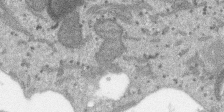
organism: Human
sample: Lung epithelial cells infected with SARS-CoV-2